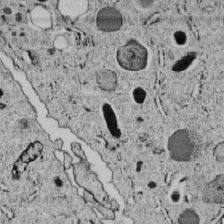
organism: C. elegans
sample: C. elegans embryo early stage